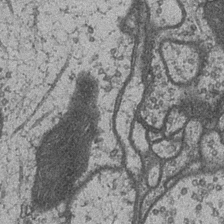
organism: Drosophila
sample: Optic medulla